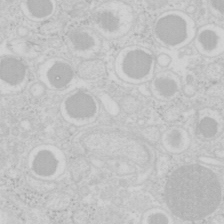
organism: Mouse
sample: Pancreas